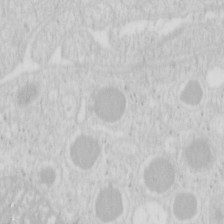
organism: Mouse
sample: Pancreas